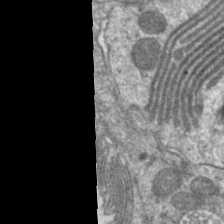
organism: C. elegans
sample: Pharynx